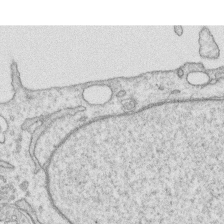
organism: Human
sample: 1205lu cells